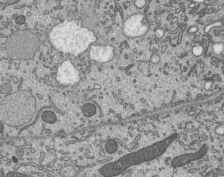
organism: Mouse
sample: Mouse epididymis efferent ductule cilia